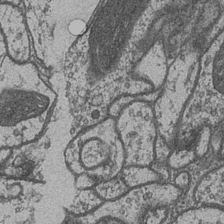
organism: Drosophila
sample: Optic medulla